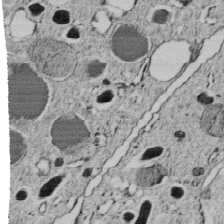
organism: C. elegans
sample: C. elegans embryo early stage